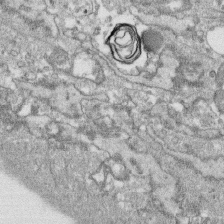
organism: Human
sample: CRL-1474